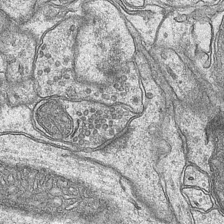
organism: Mouse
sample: CA1 Hippocampus